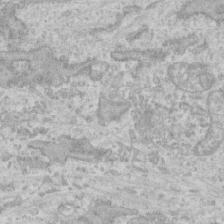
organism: Human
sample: CRL-1474